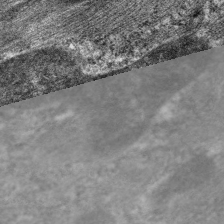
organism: C. elegans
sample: Pharynx